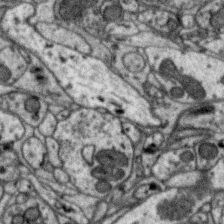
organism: Zebra finch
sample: Brain